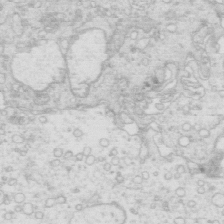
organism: Mouse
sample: Multiciliated cells